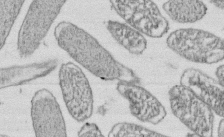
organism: E. coli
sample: Bacterial nucleoid